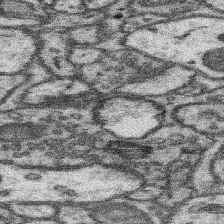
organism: Mouse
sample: Somatosensory cortex neuropil